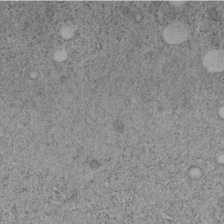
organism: C. elegans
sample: C. elegans embryo early stage